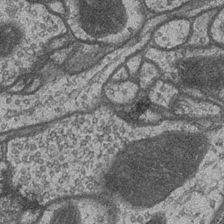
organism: Drosophila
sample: Optic medulla